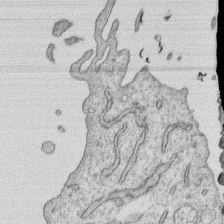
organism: Human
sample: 1205lu cells